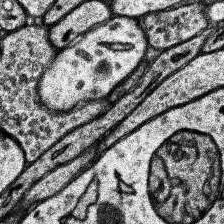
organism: Human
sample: Temporal Lobe